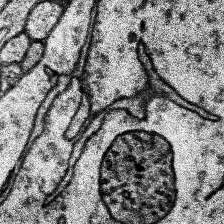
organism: Human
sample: Temporal Lobe